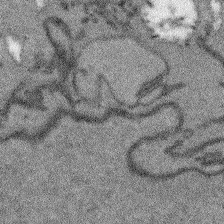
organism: Arabidopsis thaliana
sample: Root tip